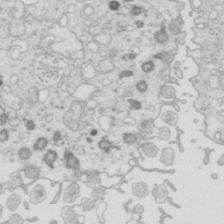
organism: Mouse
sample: Multiciliated cells